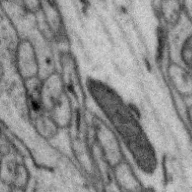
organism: Zebra finch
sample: Brain